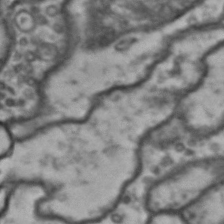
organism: Drosophila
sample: Brain